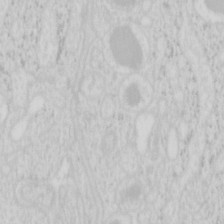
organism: Mouse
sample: Pancreas